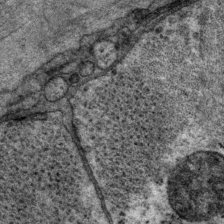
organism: P. pacificus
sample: Pharynx